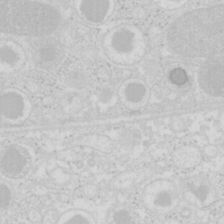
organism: Mouse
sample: Pancreas